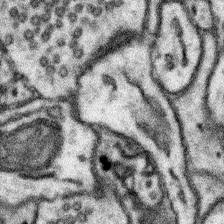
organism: Mouse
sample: Somatosensory cortex neuropil